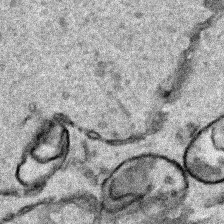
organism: Human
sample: Mitochondria in HCT116 cells